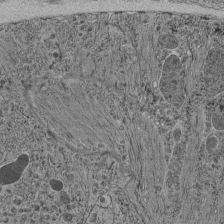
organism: C. elegans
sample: C. elegans pharynx